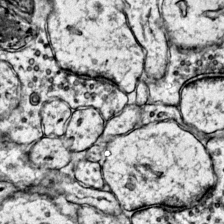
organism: Mouse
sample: Primary visual cortex